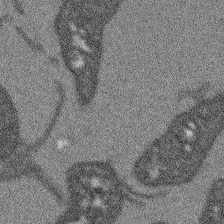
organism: Arabidopsis thaliana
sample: Root tip